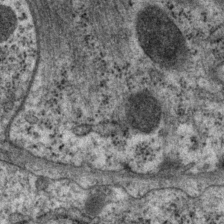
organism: P. pacificus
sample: Pharynx